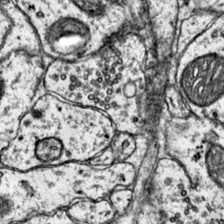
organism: Mouse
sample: Primary visual cortex